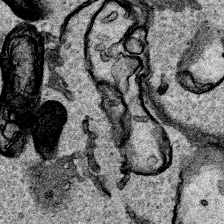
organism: Human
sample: Mitochondria in HCT116 cells